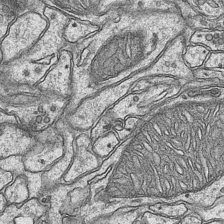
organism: Mouse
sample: CA1 Hippocampus